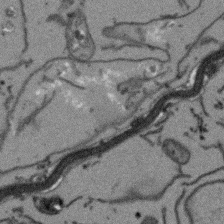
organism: Arabidopsis thaliana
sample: Root tip